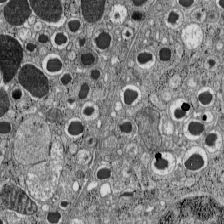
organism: C57BL Mouse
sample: Pancreatic islet